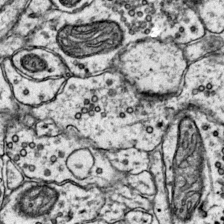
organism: Mouse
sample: Primary visual cortex